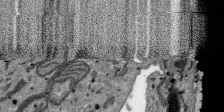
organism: Human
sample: Lung epithelial cells, uninfected (mock) control